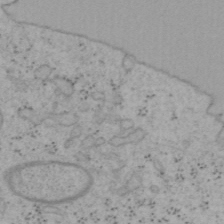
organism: Human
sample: HeLa cells